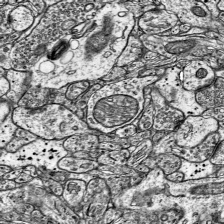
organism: Mouse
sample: Visual Cortex